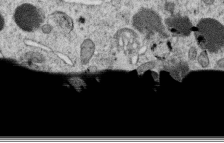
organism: C. elegans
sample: C. elegans oocyte; sperm cells